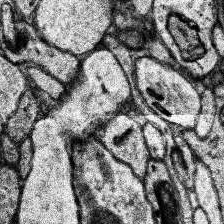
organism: Human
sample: Temporal Lobe